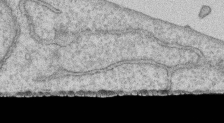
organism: Human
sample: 1205lu cells